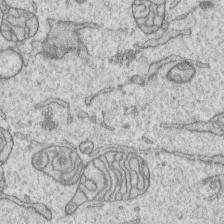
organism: Human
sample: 1205lu cells